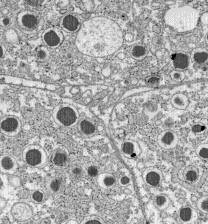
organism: C57BL Mouse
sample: Pancreatic islet